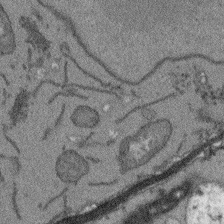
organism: Arabidopsis thaliana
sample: Root tip